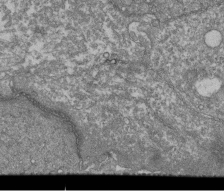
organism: Human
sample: Retinal organoid Rod and Cone cells